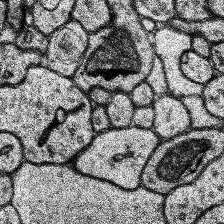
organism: Human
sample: Temporal Lobe